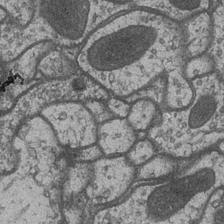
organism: Drosophila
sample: Optic medulla